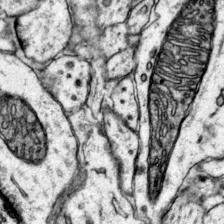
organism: Mouse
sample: Primary visual cortex